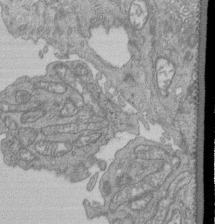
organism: Human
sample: Retinal organoid Rod and Cone cells